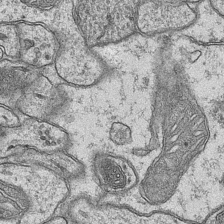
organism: Mouse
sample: CA1 Hippocampus